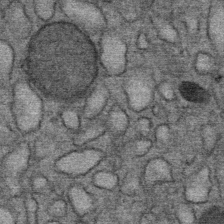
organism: Mouse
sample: Mouse Salivary gland